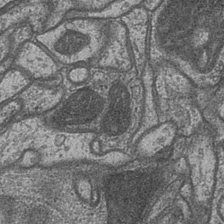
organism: Drosophila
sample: Optic medulla